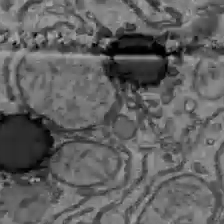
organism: C57BL Mouse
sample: Liver